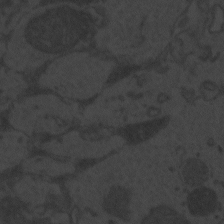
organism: Zebrafish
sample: Macrophage infected with Toxoplasma gondii